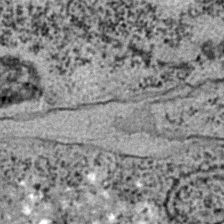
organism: C. elegans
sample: C. elegans embryo